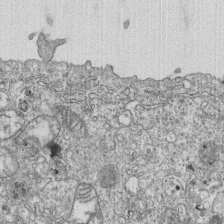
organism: Human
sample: HeLa cell HIV synapse